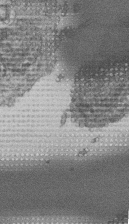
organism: Human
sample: Retinal organoid Rod and Cone cells